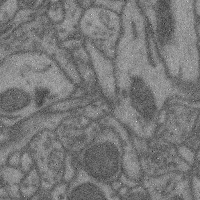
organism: Mouse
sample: Cerebral cortex